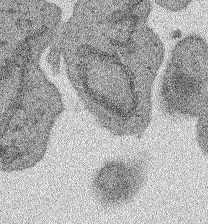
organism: Human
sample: HeLa cells